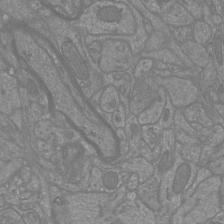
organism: Mouse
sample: Cortical neurons